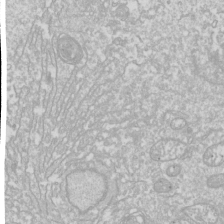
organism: Drosophila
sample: Cell division; meiosis; drosophila spermatocytes